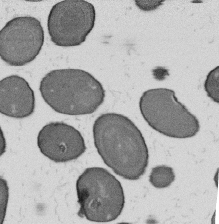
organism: B. subtilis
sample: Bacterial spore